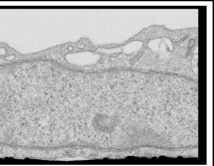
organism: Human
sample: Centriole in RPE cells